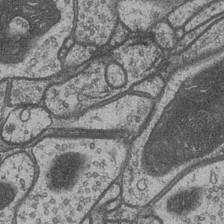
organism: Drosophila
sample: Optic medulla